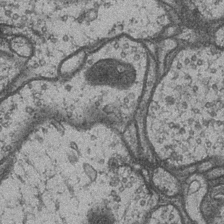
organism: Drosophila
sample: Optic medulla